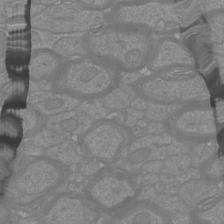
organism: Mouse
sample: Cortical neurons